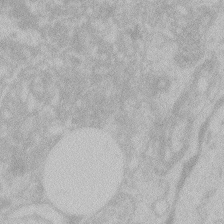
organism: Zebrafish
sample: Macrophage infected with Toxoplasma gondii